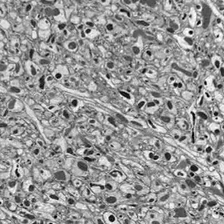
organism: Drosophila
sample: Optic lobe